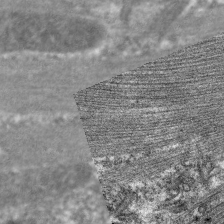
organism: C. elegans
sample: Pharynx